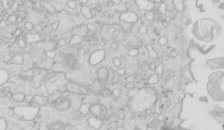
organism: Mouse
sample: Multiciliated cells